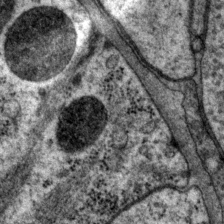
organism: P. pacificus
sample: Pharynx